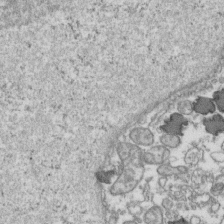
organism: Human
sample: Activated Jurkat CD4+ T cells